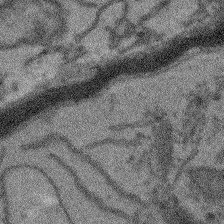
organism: Arabidopsis thaliana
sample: Root tip